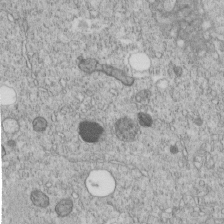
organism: C. elegans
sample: C. elegans embryo early stage